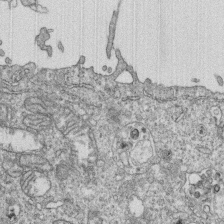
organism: Human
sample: HeLa cell HIV synapse